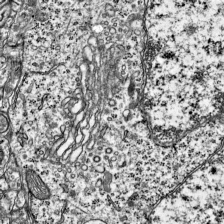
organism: Mouse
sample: Visual Cortex